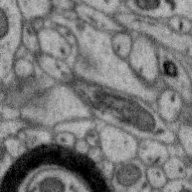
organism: Zebra finch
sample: Brain